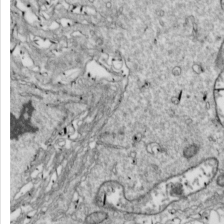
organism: Drosophila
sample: Cell division; meiosis; drosophila spermatocytes